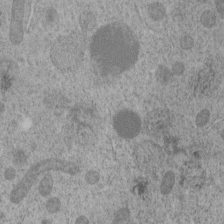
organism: C. elegans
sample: C. elegans embryo early stage